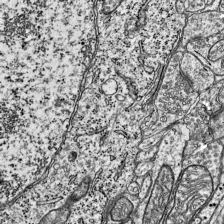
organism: Mouse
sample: Visual Cortex